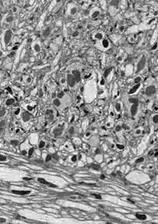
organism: Drosophila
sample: Optic lobe